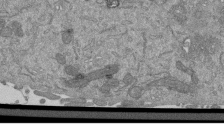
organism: Mouse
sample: ED-1 cell nuclei; centrioles